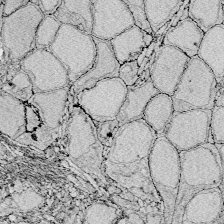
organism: Zebrafish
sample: Whole-Brain